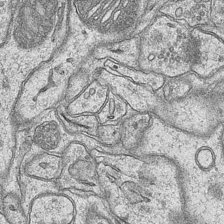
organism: Mouse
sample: CA1 Hippocampus